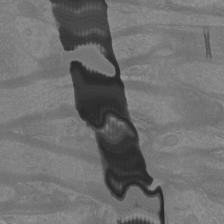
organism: Mouse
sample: Cortical neurons